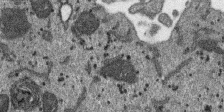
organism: Human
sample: Lung epithelial cells infected with SARS-CoV-2